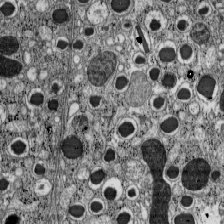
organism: C57BL Mouse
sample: Pancreatic islet